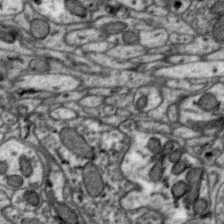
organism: Zebra finch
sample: Brain